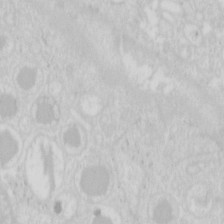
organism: Mouse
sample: Pancreas